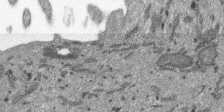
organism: Human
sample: Lung epithelial cells infected with SARS-CoV-2